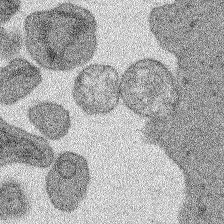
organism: Human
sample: HeLa cells